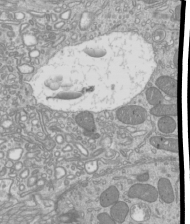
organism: Mouse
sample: Cilia; mouse epididymis